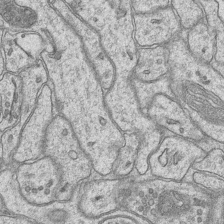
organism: Mouse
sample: CA1 Hippocampus